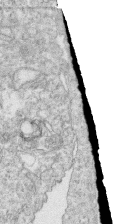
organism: Human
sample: HeLa cell HIV synapse